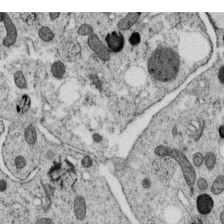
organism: C. elegans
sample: C. elegans oocyte; sperm cells